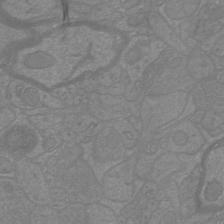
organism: Mouse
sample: Cortical neurons